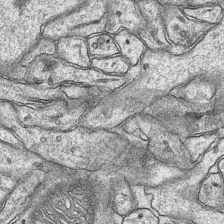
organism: Mouse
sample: CA1 Hippocampus